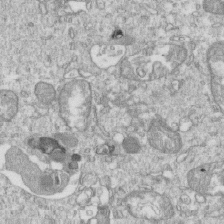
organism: Mouse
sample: Activated OT-1 CD8+ T cells